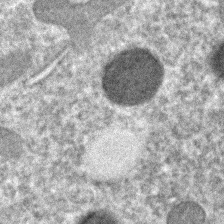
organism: C. elegans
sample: C. elegans embryo